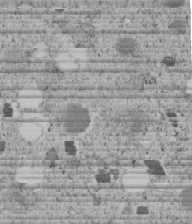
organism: C. elegans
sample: C. elegans embryo early stage